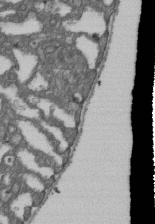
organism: Drosophila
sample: Nephrocyte